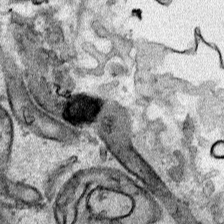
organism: Human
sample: Mitochondria in HCT116 cells